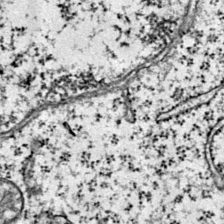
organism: Mouse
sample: Primary visual cortex